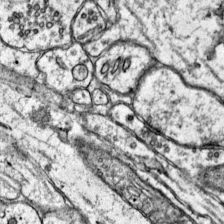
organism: Mouse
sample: Primary visual cortex